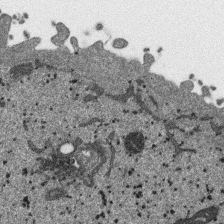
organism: Human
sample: Lung epithelial cells infected with SARS-CoV-2